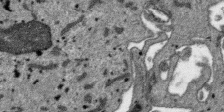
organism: Human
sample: Lung epithelial cells, uninfected (mock) control